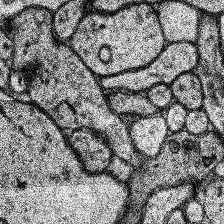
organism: Human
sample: Temporal Lobe